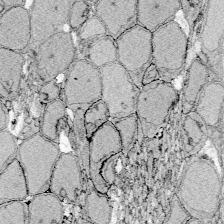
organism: Zebrafish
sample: Whole-Brain